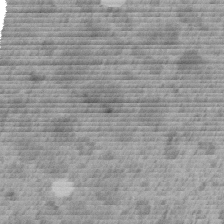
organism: C. elegans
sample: C. elegans embryo early stage